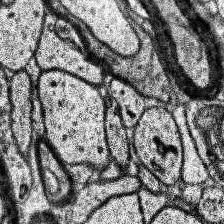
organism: Human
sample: Temporal Lobe